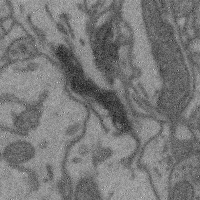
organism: Mouse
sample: Cerebral cortex